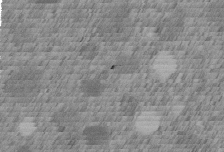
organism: C. elegans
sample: C. elegans embryo early stage